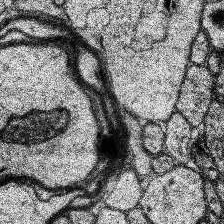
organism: Human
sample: Temporal Lobe